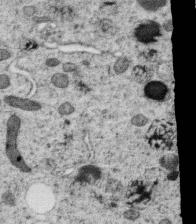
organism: C. elegans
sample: C. elegans oocyte; sperm cells